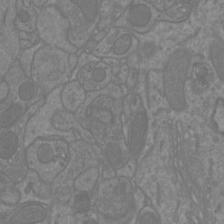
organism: Mouse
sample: Cortical neurons